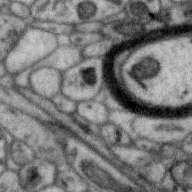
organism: Zebra finch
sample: Brain